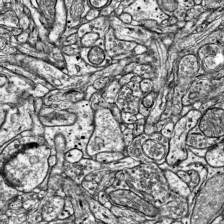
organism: Mouse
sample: Visual Cortex